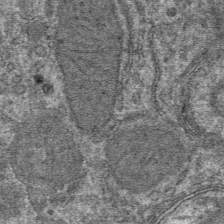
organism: Mouse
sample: Mouse hepatocytes